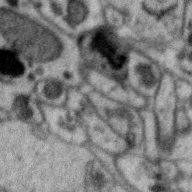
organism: Zebra finch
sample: Brain